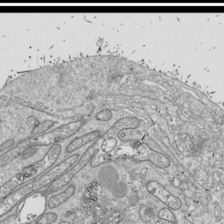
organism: Drosophila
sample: Cell division; meiosis; drosophila spermatocytes